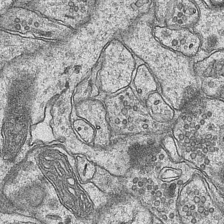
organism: Mouse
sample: CA1 Hippocampus